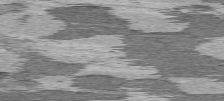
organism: C57BL Mouse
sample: Heart